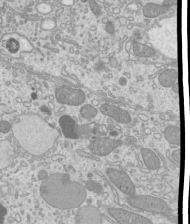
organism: Mouse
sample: Cilia; mouse epididymis